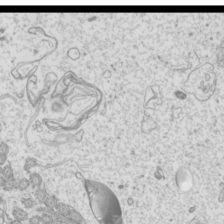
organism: Mouse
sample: Cilia; mouse epididymis